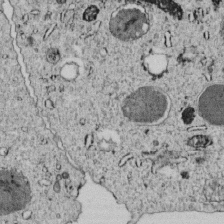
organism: C. elegans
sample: C. elegans embryo early stage